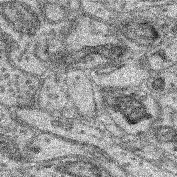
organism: Mouse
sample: Retina